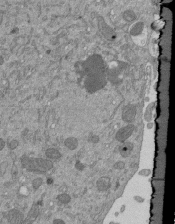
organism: Mouse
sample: ED-1 cell nuclei; centrioles